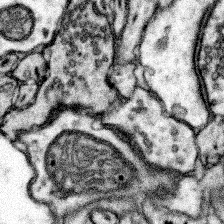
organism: Mouse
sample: Somatosensory cortex neuropil